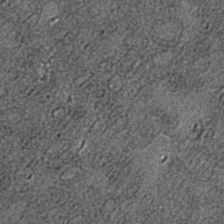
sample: Trachea